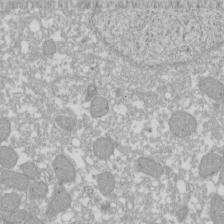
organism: Xenopus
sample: Cilia; centrioles in frog embryo cells